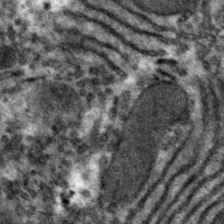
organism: Mouse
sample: Mouse hepatocytes